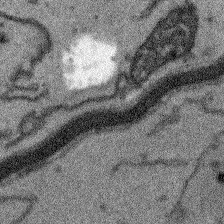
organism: Arabidopsis thaliana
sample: Root tip